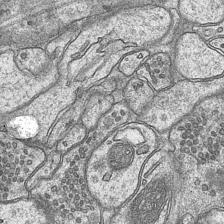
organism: Mouse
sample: CA1 Hippocampus